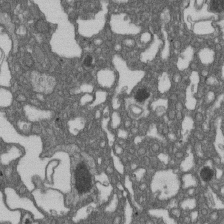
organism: Drosophila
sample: Nephrocyte